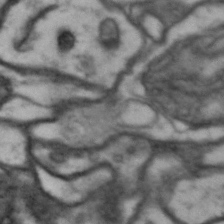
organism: Drosophila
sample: Brain